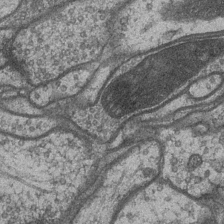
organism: Drosophila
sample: Optic medulla